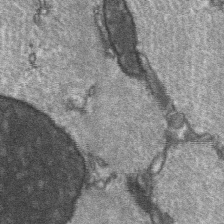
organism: C57BL Mouse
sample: Soleus